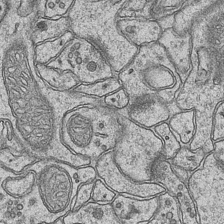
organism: Mouse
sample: CA1 Hippocampus